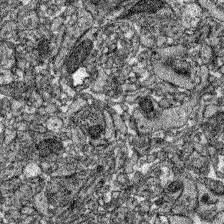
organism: Zebrafish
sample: Larval olfactory bulb